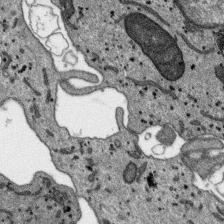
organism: Human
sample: Lung epithelial cells, uninfected (mock) control